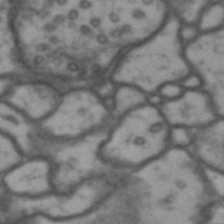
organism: Drosophila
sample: Brain